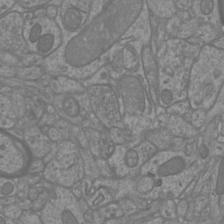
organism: Mouse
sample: Cortical neurons